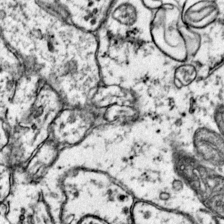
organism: Mouse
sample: Primary visual cortex